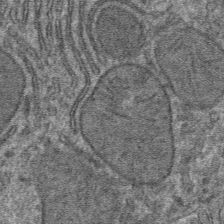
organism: Mouse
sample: Mouse hepatocytes